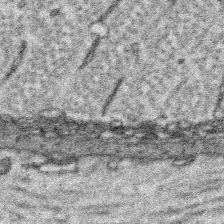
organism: Platynereis dumerilii